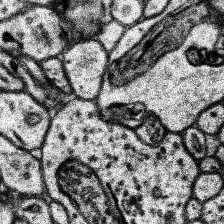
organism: Human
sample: Temporal Lobe